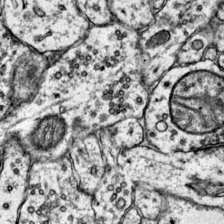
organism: Mouse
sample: Primary visual cortex